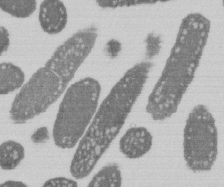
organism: E. coli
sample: Bacterial nucleoid